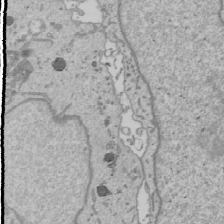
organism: Human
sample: Mitochondria in U2OS cells